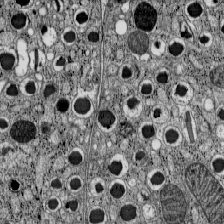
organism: C57BL Mouse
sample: Pancreatic islet